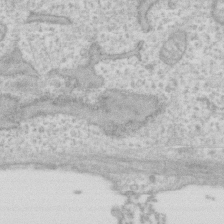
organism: Human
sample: Fibroblast cells